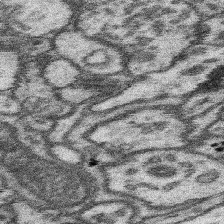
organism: Mouse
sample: Somatosensory cortex neuropil